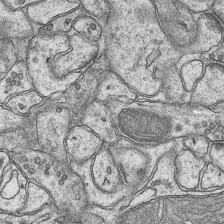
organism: Mouse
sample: CA1 Hippocampus